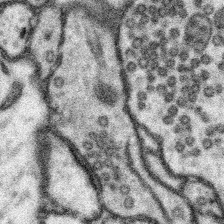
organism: Mouse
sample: Somatosensory cortex neuropil